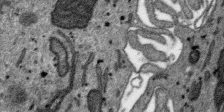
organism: Human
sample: Lung epithelial cells, uninfected (mock) control